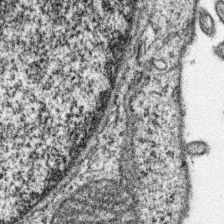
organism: Human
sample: HeLa cells